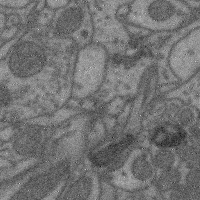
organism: Mouse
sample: Cerebral cortex